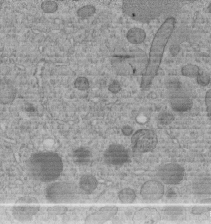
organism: C. elegans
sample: C. elegans embryo early stage